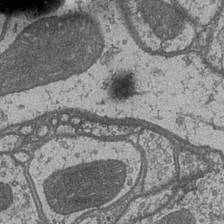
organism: Drosophila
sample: Optic medulla